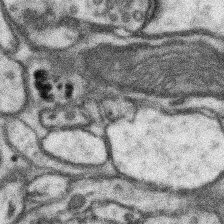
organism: Mouse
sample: Somatosensory cortex neuropil